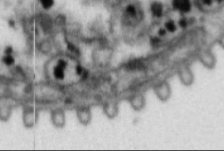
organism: Cable bacterium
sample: Filament